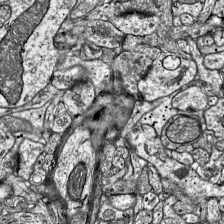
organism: Mouse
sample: Visual Cortex